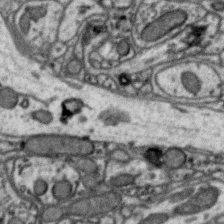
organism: Zebra finch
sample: Brain